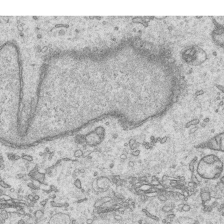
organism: Human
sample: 1205lu cells